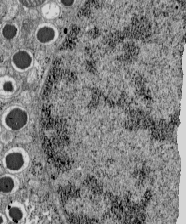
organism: C57BL Mouse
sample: Pancreatic islet